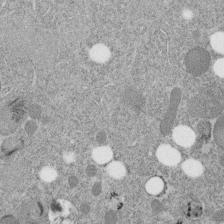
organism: C. elegans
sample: C. elegans embryo early stage